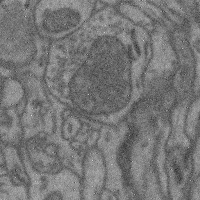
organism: Mouse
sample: Cerebral cortex